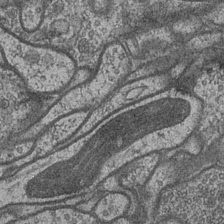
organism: Drosophila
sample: Optic medulla